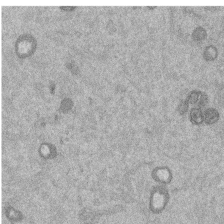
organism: Mouse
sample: Dividing mouse embryo 1 cell stage